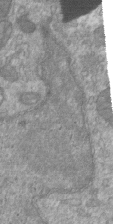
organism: Mouse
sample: ED-1 cell nuclei; centrioles